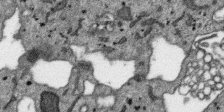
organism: Human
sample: Lung epithelial cells, uninfected (mock) control